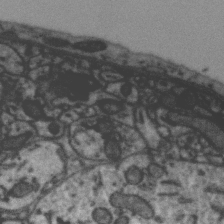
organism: Zebra finch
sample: Brain